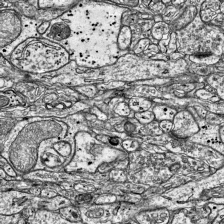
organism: Mouse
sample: Visual Cortex